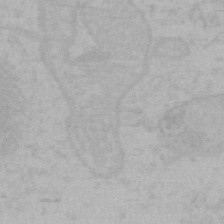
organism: Mouse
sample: Choroid plexus